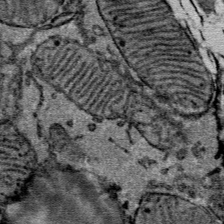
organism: Mouse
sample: Mouse Salivary gland